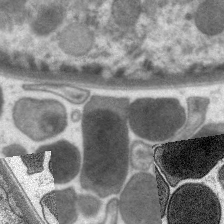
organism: C. elegans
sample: Pharynx